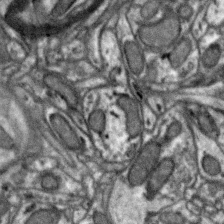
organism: Zebra finch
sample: Brain